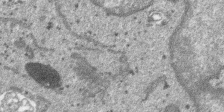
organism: Human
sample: Lung epithelial cells infected with SARS-CoV-2